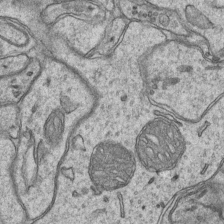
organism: Mouse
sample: CA1 Hippocampus